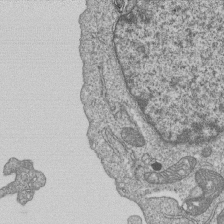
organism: Human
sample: MDA-MB-231 cells